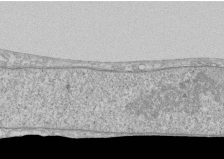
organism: Human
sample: CRL-1474